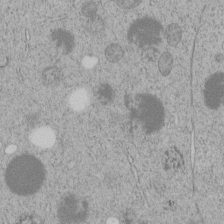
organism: C. elegans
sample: C. elegans embryo early stage